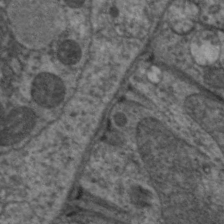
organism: C. elegans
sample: Pharynx